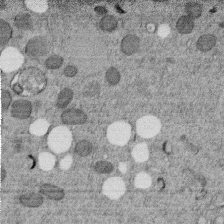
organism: C. elegans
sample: C. elegans embryo early stage